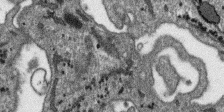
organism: Human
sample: Lung epithelial cells infected with SARS-CoV-2